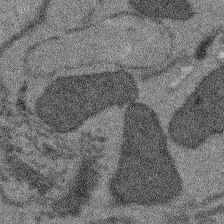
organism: Arabidopsis thaliana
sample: Root tip